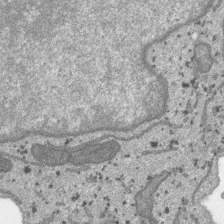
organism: Human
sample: Lung epithelial cells infected with SARS-CoV-2